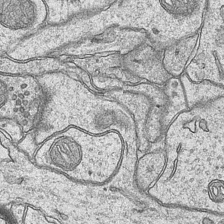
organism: Mouse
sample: CA1 Hippocampus